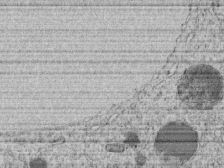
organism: C. elegans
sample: C. elegans embryo early stage